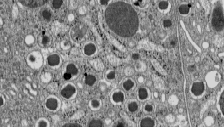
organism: C57BL Mouse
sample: Pancreatic islet